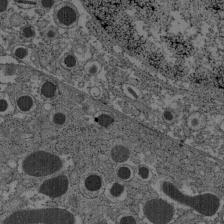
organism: C57BL Mouse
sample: Pancreatic islet